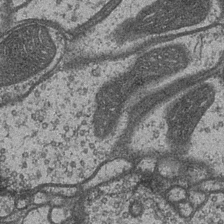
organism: Drosophila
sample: Optic medulla